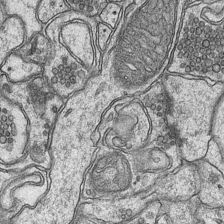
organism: Mouse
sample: CA1 Hippocampus